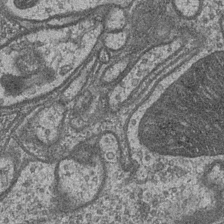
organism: Drosophila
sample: Optic medulla